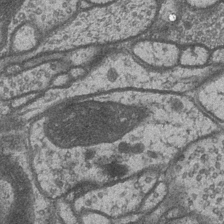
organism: Drosophila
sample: Optic medulla